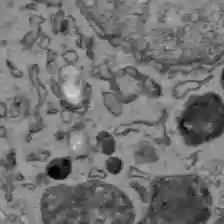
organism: C57BL Mouse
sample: Liver